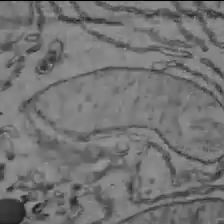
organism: C57BL Mouse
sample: Liver